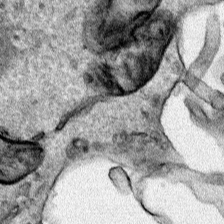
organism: Human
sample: Mitochondria in HCT116 cells